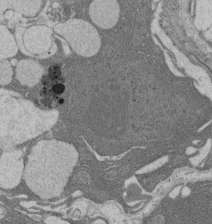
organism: Rat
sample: Salivary granule